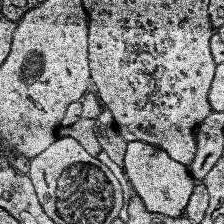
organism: Human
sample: Temporal Lobe